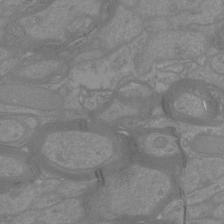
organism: Mouse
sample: Cortical neurons